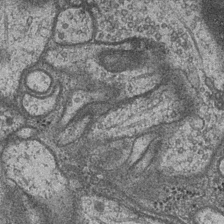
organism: Drosophila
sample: Optic medulla